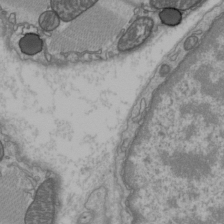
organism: C57BL Mouse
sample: Heart